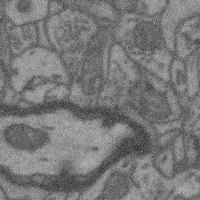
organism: Mouse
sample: Cerebral cortex